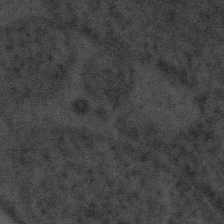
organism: Tuwongella immobilis